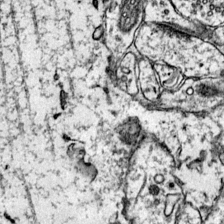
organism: Mouse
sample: Primary visual cortex